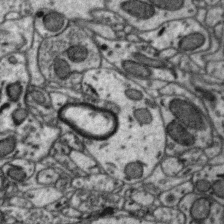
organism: Zebra finch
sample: Brain